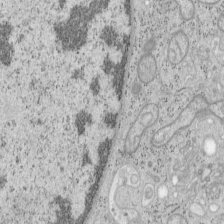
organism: Mouse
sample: OT-I killer T cells with ID8 ovarian cancer cells